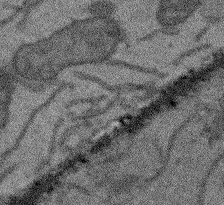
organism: Arabidopsis thaliana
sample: Root tip